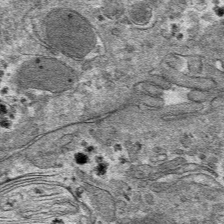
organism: Mouse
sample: Mouse hepatocytes